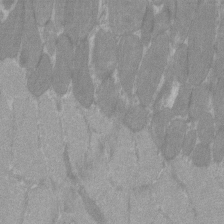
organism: C57BL Mouse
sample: Tibialis anterior muscle cell